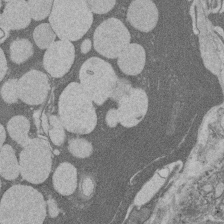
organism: Rat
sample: Salivary granule